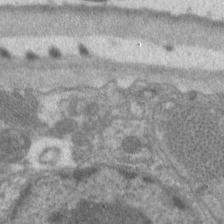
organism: C. elegans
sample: Pharynx